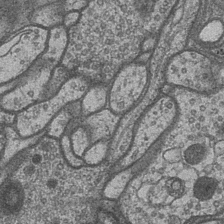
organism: Drosophila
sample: Optic medulla